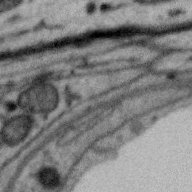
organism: Zebra finch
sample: Brain